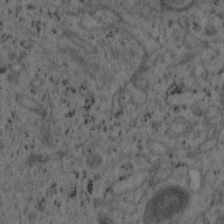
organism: Human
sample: HeLa cells